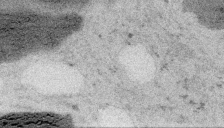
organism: Embia sp.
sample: Silk gland